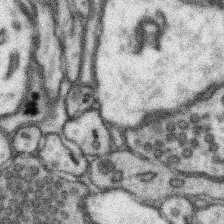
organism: Mouse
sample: Somatosensory cortex neuropil